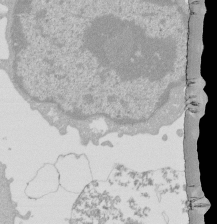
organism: Mouse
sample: Activated Pmel transgenic CD8+ T Cells